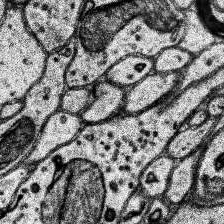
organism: Human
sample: Temporal Lobe